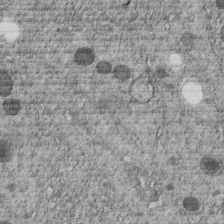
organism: C. elegans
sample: C. elegans embryo early stage